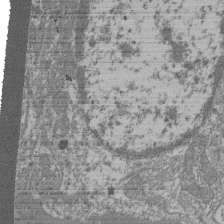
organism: Mouse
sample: Glomerulus